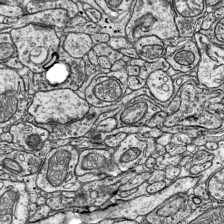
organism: Mouse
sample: Visual Cortex